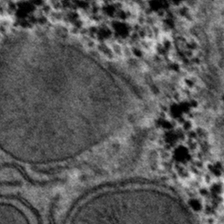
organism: Mouse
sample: Mouse hepatocytes